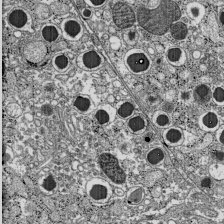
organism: C57BL Mouse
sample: Pancreatic islet